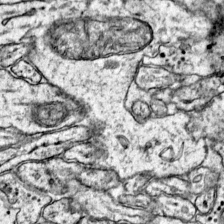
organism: Mouse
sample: Primary visual cortex